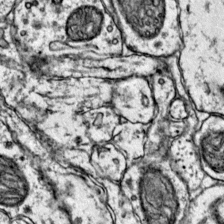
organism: Mouse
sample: Primary visual cortex